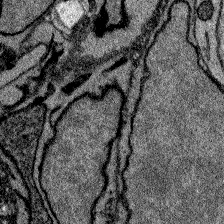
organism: Zebrafish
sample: Larval olfactory bulb